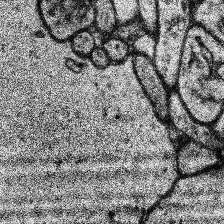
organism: Human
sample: Temporal Lobe